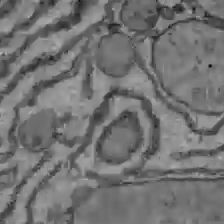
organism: C57BL Mouse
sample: Liver